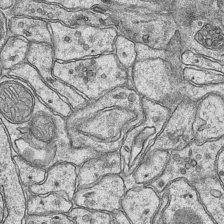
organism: Mouse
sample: CA1 Hippocampus